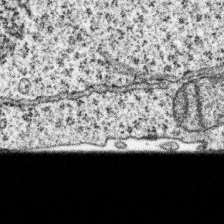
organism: Human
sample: HeLa cells